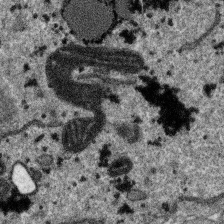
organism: Human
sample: Lung epithelial cells infected with SARS-CoV-2